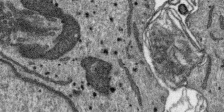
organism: Human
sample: Lung epithelial cells, uninfected (mock) control